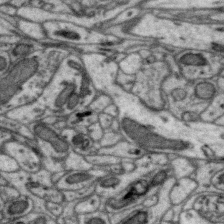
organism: Zebra finch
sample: Brain